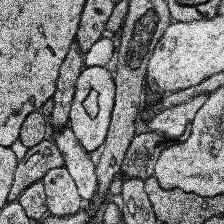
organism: Human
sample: Temporal Lobe